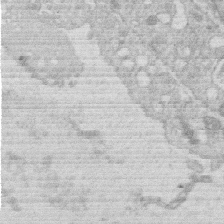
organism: Human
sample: Macrophage cells